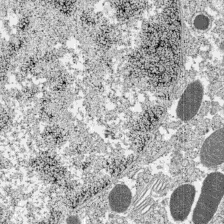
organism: C57BL Mouse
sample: Pancreatic islet